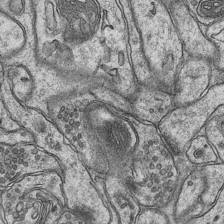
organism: Mouse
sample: CA1 Hippocampus